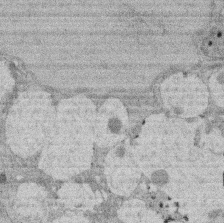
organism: Rat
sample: Salivary granule